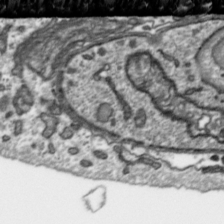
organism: Toxoplasma gondii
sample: Parasites in a vacuole inside a host cell